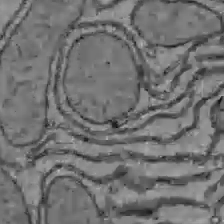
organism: C57BL Mouse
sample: Liver